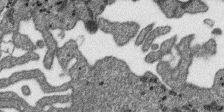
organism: Human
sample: Lung epithelial cells infected with SARS-CoV-2